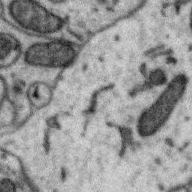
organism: Zebra finch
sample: Brain